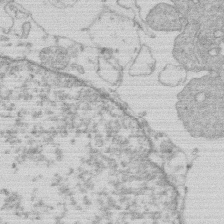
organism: Human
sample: Macrophage cells